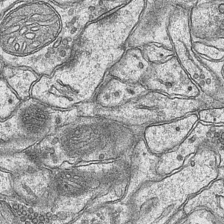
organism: Mouse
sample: CA1 Hippocampus